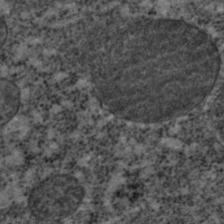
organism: C. elegans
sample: C. elegans embryo